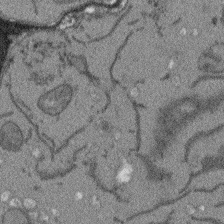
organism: Arabidopsis thaliana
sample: Root tip